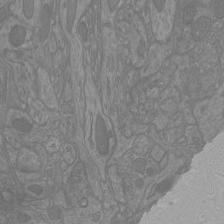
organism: Mouse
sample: Cortical neurons